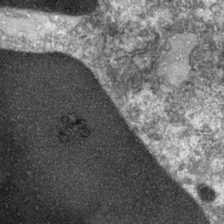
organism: Zebrafish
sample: Zebrafish embryo